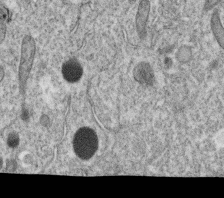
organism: C. elegans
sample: C. elegans oocyte; sperm cells